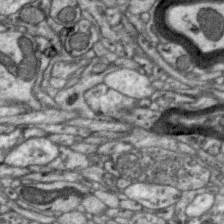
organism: Zebra finch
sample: Brain